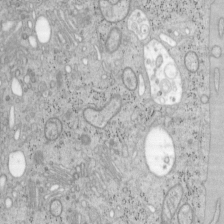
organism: Mouse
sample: OT-I killer T cells with ID8 ovarian cancer cells